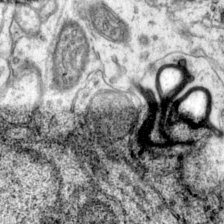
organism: Mouse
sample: Primary visual cortex